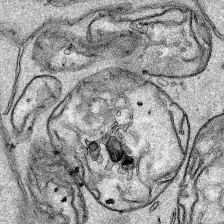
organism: Human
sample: Mitochondria in HCT116 cells